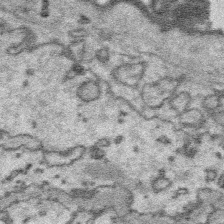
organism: Platynereis dumerilii